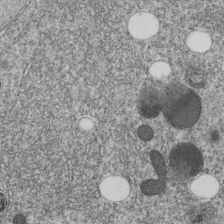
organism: C. elegans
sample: C. elegans embryo early stage